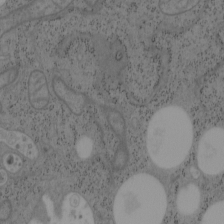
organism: Mouse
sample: OT-I killer T cells with ID8 ovarian cancer cells